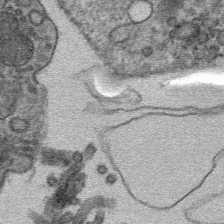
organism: Mouse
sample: Mouse hepatocytes